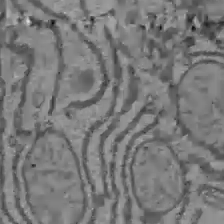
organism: C57BL Mouse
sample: Liver